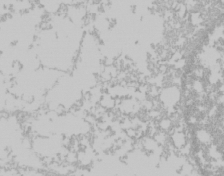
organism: Mouse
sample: Cancer cell death in ED-1 cells